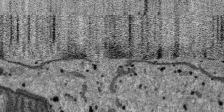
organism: Human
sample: Lung epithelial cells, uninfected (mock) control